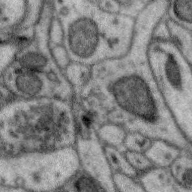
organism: Zebra finch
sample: Brain